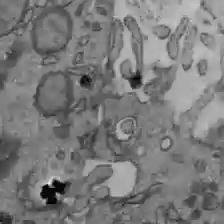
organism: C57BL Mouse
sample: Liver